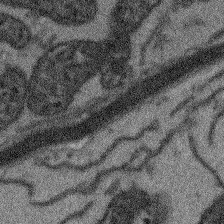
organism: Arabidopsis thaliana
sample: Root tip